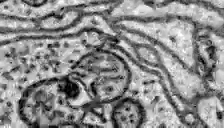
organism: Zebrafish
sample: Brain